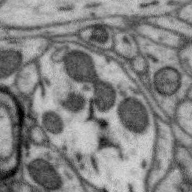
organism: Zebra finch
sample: Brain